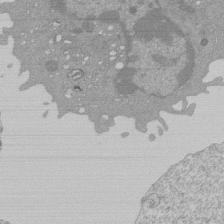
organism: Mouse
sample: Activated Pmel transgenic CD8+ T Cells